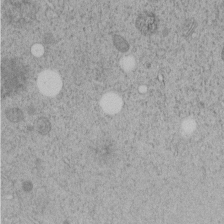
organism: C. elegans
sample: C. elegans embryo early stage